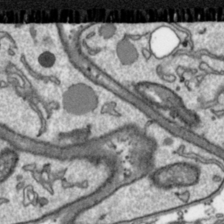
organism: Toxoplasma gondii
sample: Parasites in a vacuole inside a host cell